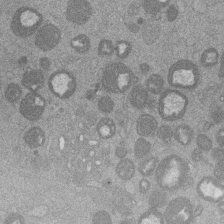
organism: Mouse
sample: Dividing mouse embryo 1 cell stage